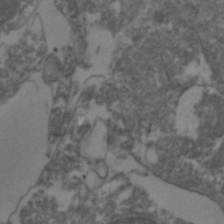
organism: Zebrafish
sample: Zebrafish embryo